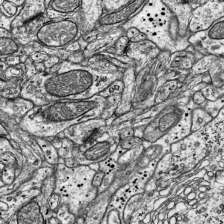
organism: Mouse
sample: Visual Cortex